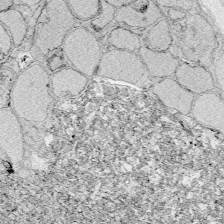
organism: Zebrafish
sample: Whole-Brain